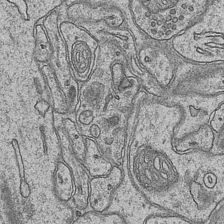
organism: Mouse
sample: CA1 Hippocampus